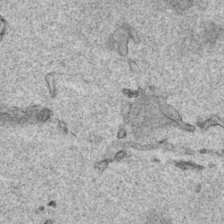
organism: Human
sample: Mitochondria in HCT116 cells